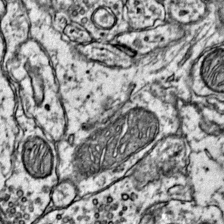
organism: Mouse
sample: Primary visual cortex